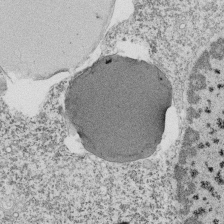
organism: Tetrahymena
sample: Cilia in tetrahymena